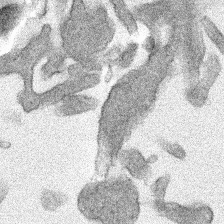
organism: Human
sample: Mitochondria in HCT116 cells